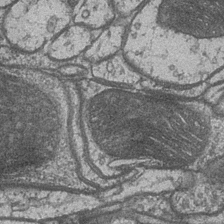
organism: Drosophila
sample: Optic medulla